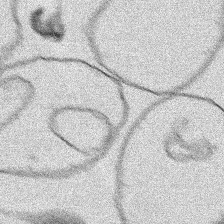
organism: Human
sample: Mitochondria in HCT116 cells